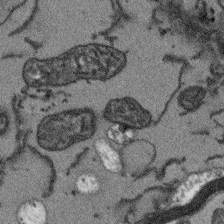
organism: Arabidopsis thaliana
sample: Root tip